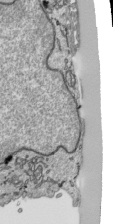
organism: Human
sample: Mitochondria in HCT116 cells